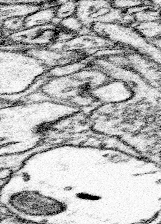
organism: Mouse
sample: Somatosensory cortex neuropil